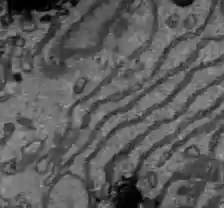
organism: C57BL Mouse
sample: Liver